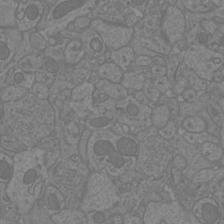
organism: Mouse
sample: Cortical neurons